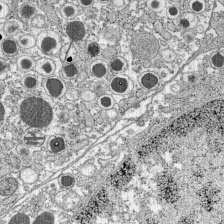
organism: C57BL Mouse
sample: Pancreatic islet